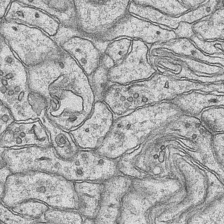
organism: Mouse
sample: CA1 Hippocampus